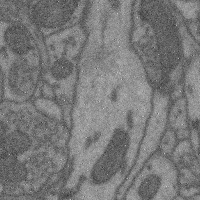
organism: Mouse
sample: Cerebral cortex